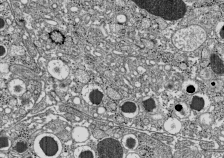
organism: C57BL Mouse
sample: Pancreatic islet